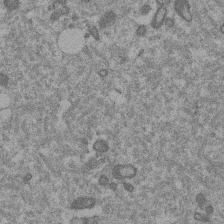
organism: Mouse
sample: Dividing mouse embryo 1 cell stage